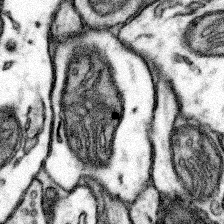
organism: Mouse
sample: Somatosensory cortex neuropil